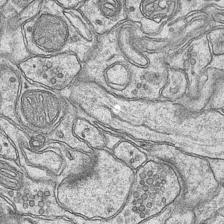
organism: Mouse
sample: CA1 Hippocampus